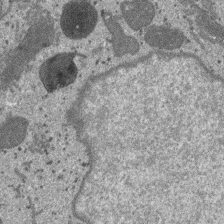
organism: Human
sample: Lung epithelial cells infected with SARS-CoV-2